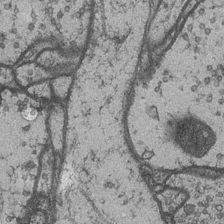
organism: Drosophila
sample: Optic medulla